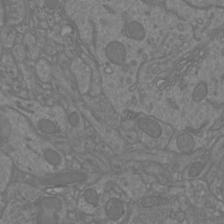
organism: Mouse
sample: Cortical neurons